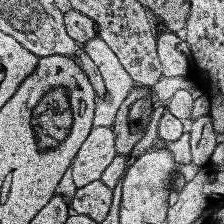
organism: Human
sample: Temporal Lobe